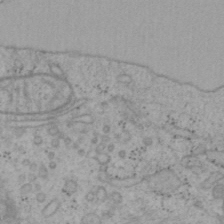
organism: Human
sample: HeLa cells